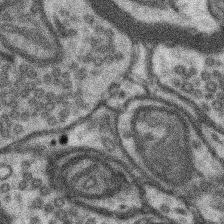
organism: Mouse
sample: Somatosensory cortex neuropil